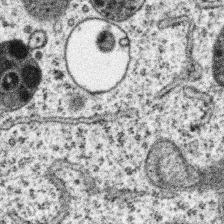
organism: Human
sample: HeLa cells